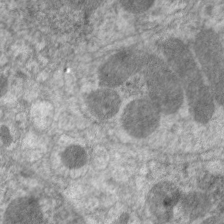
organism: C. elegans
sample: Pharynx